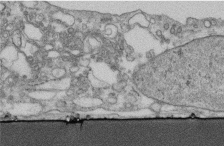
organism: Human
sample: Centriole in fibroblast cells